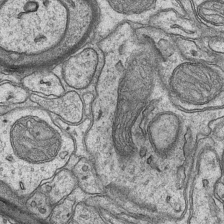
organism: Mouse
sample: CA1 Hippocampus